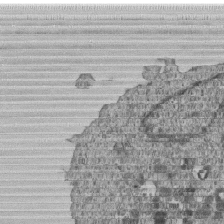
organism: Human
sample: MDA-MB-231 cells